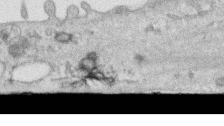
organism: Human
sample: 1205lu cells